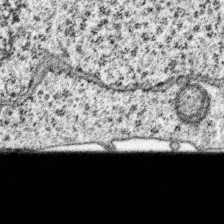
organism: Human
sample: HeLa cells